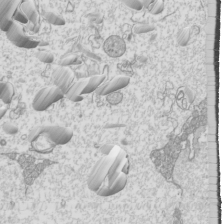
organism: Mouse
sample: Cilia; mouse epididymis